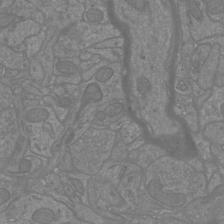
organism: Mouse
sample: Cortical neurons